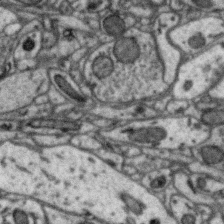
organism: Zebra finch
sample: Brain